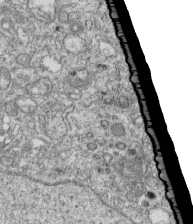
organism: Human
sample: HeLa cell HIV synapse